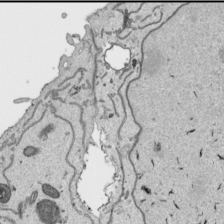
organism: Human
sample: Mitochondria in HCT116 cells